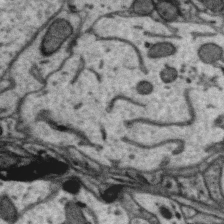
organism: Zebra finch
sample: Brain